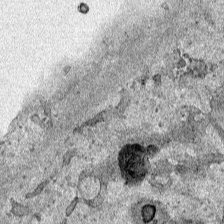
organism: Human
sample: Mitochondria in HCT116 cells